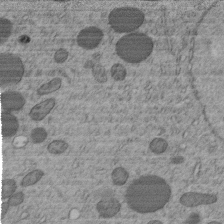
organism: C. elegans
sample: C. elegans embryo early stage